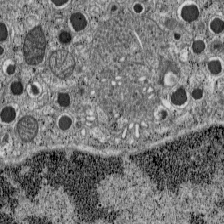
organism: C57BL Mouse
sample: Pancreatic islet